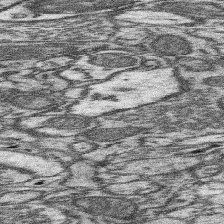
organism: Mouse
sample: Somatosensory cortex neuropil